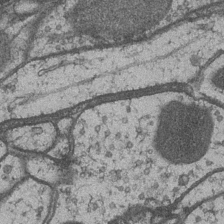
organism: Drosophila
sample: Optic medulla